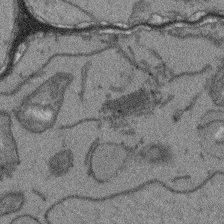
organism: Arabidopsis thaliana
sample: Root tip